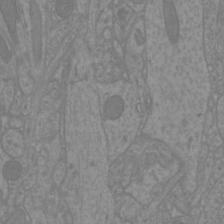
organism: Mouse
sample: Cortical neurons